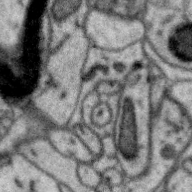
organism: Zebra finch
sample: Brain